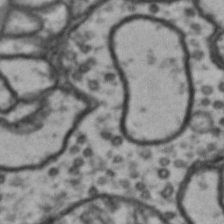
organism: Drosophila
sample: Brain